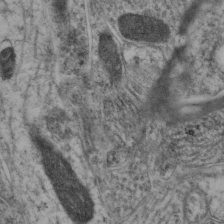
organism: Mouse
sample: Neocortex